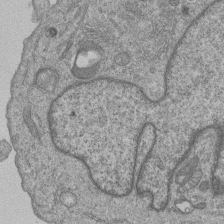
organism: Human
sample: MDA-MB-231 cells